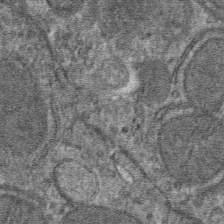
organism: Mouse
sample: Mouse hepatocytes